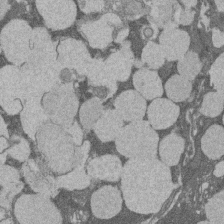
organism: Rat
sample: Salivary granule